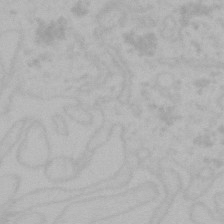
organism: Mouse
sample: Choroid plexus